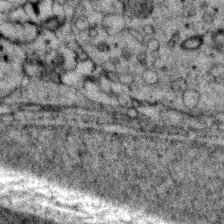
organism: Zebrafish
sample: Zebrafish embryo